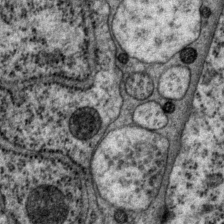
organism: P. pacificus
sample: Pharynx